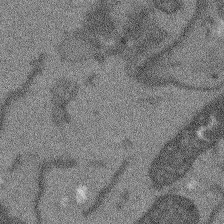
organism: Arabidopsis thaliana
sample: Root tip